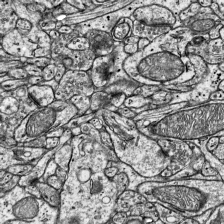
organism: Mouse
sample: Visual Cortex